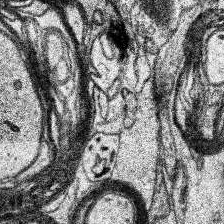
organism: Human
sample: Temporal Lobe